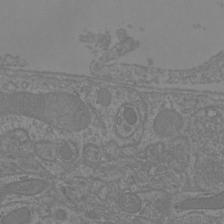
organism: Mouse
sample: Cortical neurons